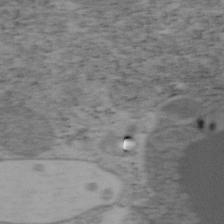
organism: Mouse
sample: OT-I killer T cells with ID8 ovarian cancer cells